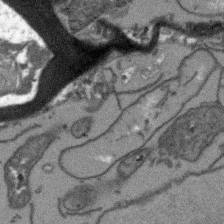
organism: Arabidopsis thaliana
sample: Root tip